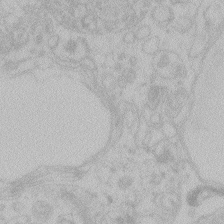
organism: Zebrafish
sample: Macrophage infected with Toxoplasma gondii